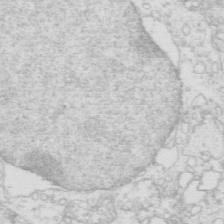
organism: Mouse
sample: Multiciliated cells